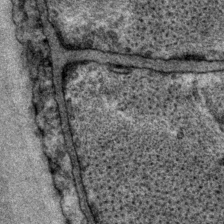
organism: P. pacificus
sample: Pharynx